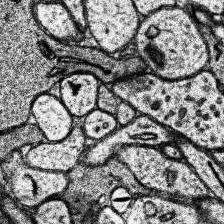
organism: Human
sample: Temporal Lobe